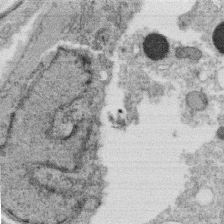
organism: C. elegans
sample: C. elegans oocyte; sperm cells